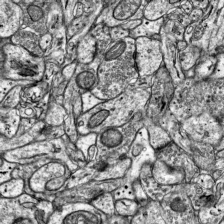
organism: Mouse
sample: Visual Cortex